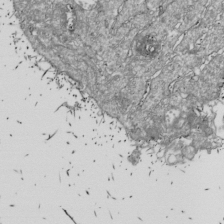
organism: Drosophila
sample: Cell division; meiosis; drosophila spermatocytes